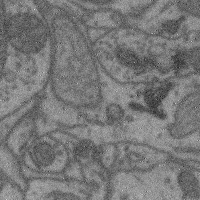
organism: Mouse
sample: Cerebral cortex